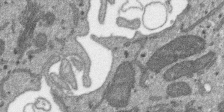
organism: Human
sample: Lung epithelial cells infected with SARS-CoV-2